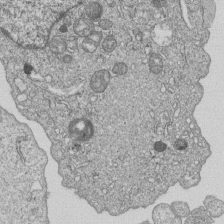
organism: Human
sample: MDA-MB-231 cells